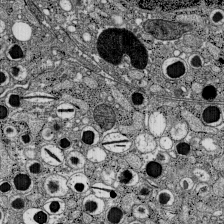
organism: C57BL Mouse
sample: Pancreatic islet